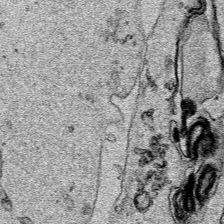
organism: Human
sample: Mitochondria in HCT116 cells